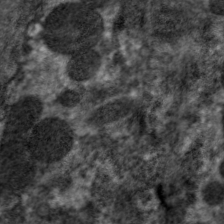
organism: C. elegans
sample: Pharynx